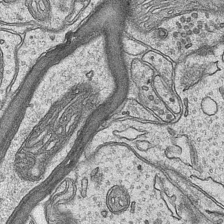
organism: Mouse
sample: CA1 Hippocampus